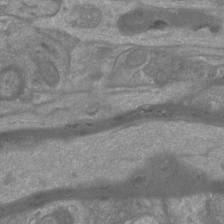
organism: Mouse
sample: Cortical neurons